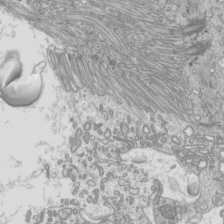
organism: Mouse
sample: Cilia; mouse epididymis